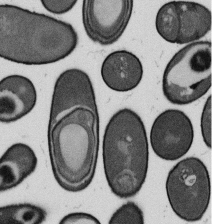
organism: B. subtilis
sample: Bacterial spore